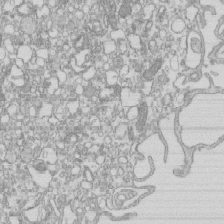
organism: Mouse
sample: Macrophages